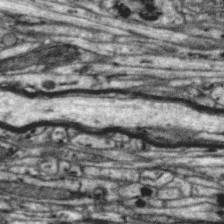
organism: Zebra finch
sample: Brain